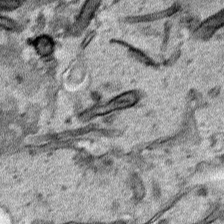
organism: Human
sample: Mitochondria in HCT116 cells